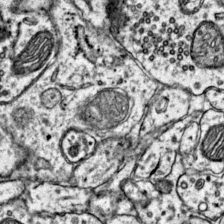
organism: Mouse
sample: Primary visual cortex